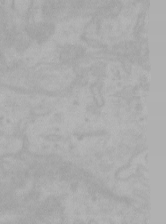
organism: Mouse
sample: Choroid plexus